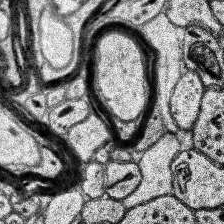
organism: Human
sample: Temporal Lobe